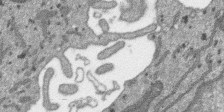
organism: Human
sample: Lung epithelial cells infected with SARS-CoV-2